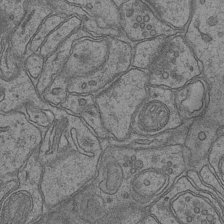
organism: Mouse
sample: CA1 Hippocampus